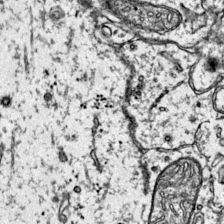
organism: Mouse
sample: Primary visual cortex